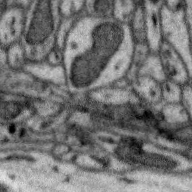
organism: Zebra finch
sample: Brain